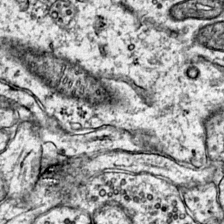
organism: Mouse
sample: Primary visual cortex